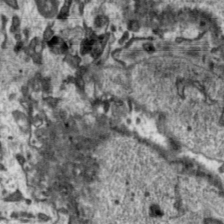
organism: Toxoplasma gondii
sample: Parasites in a vacuole inside a host cell